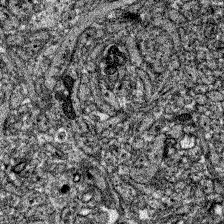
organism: Zebrafish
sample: Larval olfactory bulb